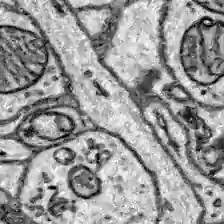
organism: Zebrafish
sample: Brain